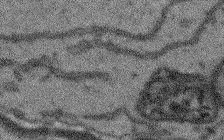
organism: Arabidopsis thaliana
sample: Root tip